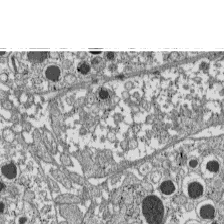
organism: C57BL Mouse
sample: Pancreatic islet